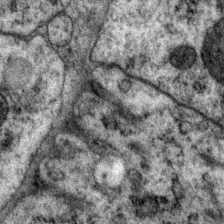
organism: P. pacificus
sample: Pharynx